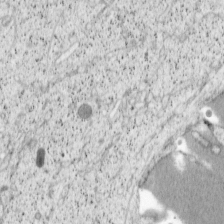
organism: African green monkey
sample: COS-7 cells